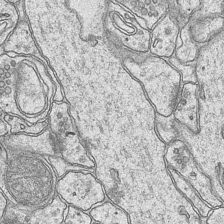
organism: Mouse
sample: CA1 Hippocampus